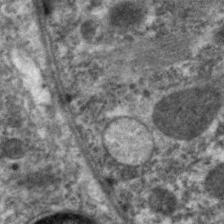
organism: C. elegans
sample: Pharynx